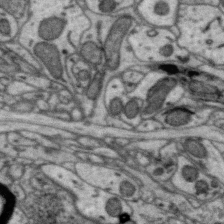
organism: Zebra finch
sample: Brain